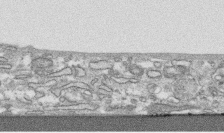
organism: Human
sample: CRL-1474